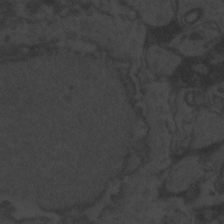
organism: Zebrafish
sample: Macrophage infected with Toxoplasma gondii